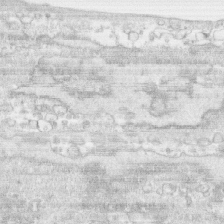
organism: Human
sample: CRL-1474